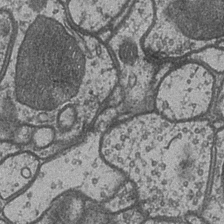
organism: Drosophila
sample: Optic medulla